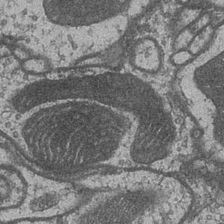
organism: Drosophila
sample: Optic medulla